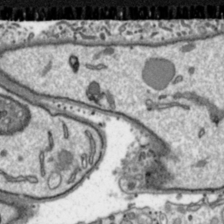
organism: Toxoplasma gondii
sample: Parasites in a vacuole inside a host cell